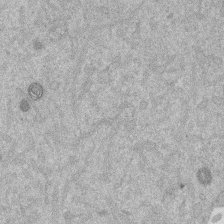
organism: Mouse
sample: Dividing mouse embryo 1 cell stage